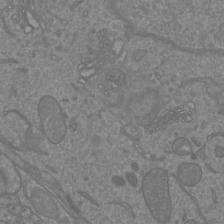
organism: Mouse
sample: Cortical neurons